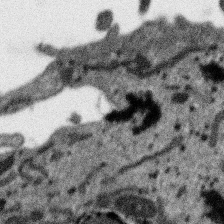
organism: Human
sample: Lung epithelial cells infected with SARS-CoV-2